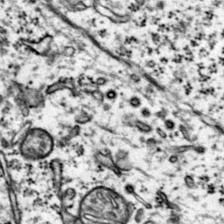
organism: Mouse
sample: Primary visual cortex